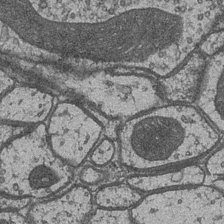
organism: Drosophila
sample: Optic medulla